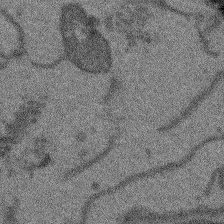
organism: Arabidopsis thaliana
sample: Root tip